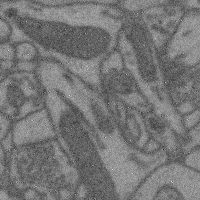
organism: Mouse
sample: Cerebral cortex